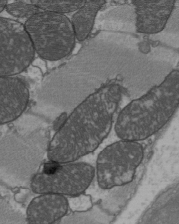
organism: C57BL Mouse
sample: Heart